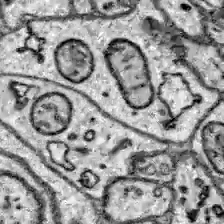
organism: Zebrafish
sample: Brain